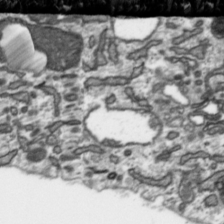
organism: Toxoplasma gondii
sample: Parasites in a vacuole inside a host cell